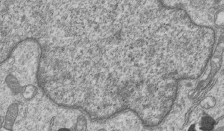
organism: Human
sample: MDA-MB-231 cells